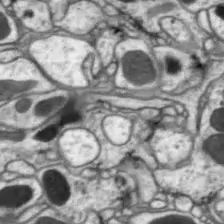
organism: Drosophila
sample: Optic lobe